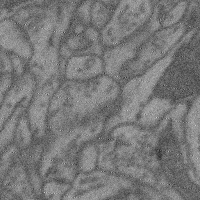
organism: Mouse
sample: Cerebral cortex